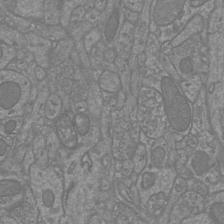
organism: Mouse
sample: Cortical neurons